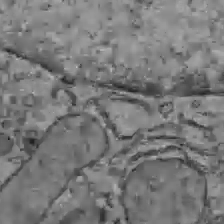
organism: C57BL Mouse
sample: Liver